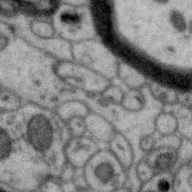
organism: Zebra finch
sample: Brain